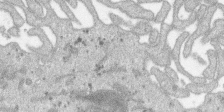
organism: Human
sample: Lung epithelial cells infected with SARS-CoV-2